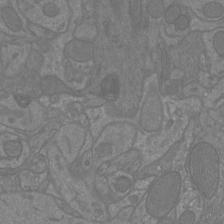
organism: Mouse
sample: Cortical neurons